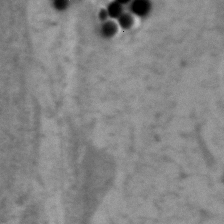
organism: Zebrafish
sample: Zebrafish embryo